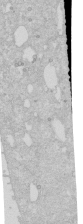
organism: Human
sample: Caco-2 cells